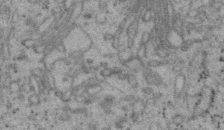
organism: Human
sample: HeLa cells